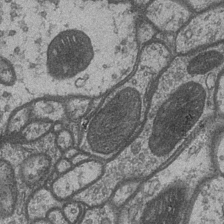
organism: Drosophila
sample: Optic medulla